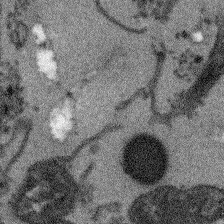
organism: Arabidopsis thaliana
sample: Root tip